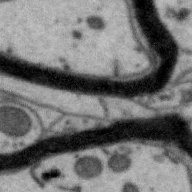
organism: Zebra finch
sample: Brain